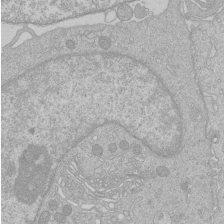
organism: Human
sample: Macrophage cells